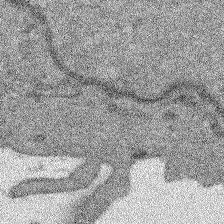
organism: Human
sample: HeLa cells